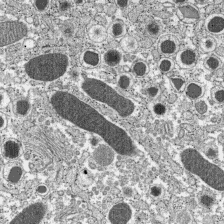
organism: C57BL Mouse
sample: Pancreatic islet